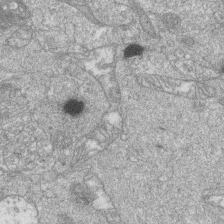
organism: Human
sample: HeLa cell HIV synapse